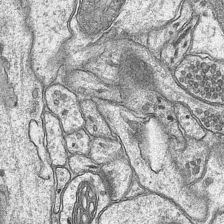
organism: Mouse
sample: CA1 Hippocampus